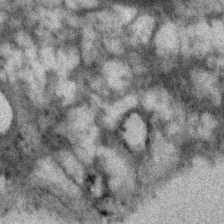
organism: Human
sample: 1205lu cells